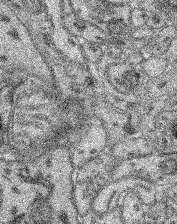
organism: Mouse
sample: Retina